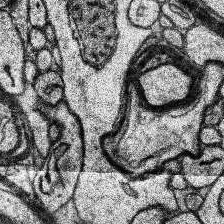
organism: Human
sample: Temporal Lobe